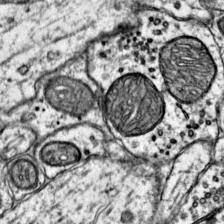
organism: Mouse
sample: Primary visual cortex